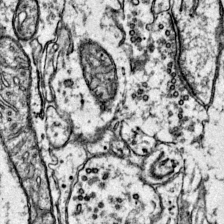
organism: Mouse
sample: Primary visual cortex